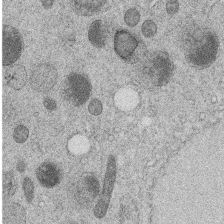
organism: C. elegans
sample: C. elegans embryo early stage